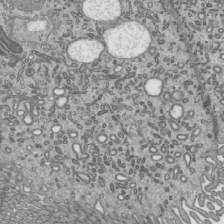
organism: Mouse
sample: Mouse epididymis efferent ductule cilia